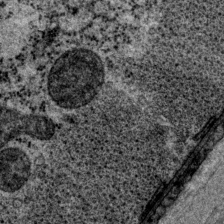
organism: P. pacificus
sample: Pharynx